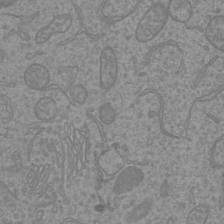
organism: Mouse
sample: Cortical neurons